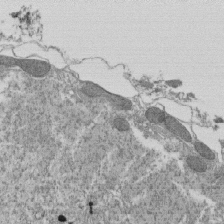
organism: Tetrahymena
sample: Cilia in tetrahymena